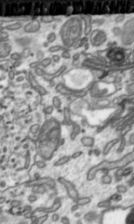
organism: Toxoplasma gondii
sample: Parasites in a vacuole inside a host cell